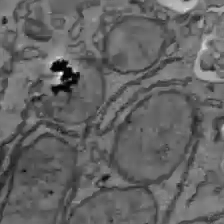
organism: C57BL Mouse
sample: Liver